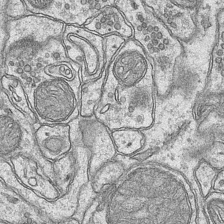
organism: Mouse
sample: CA1 Hippocampus